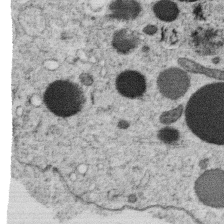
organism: C. elegans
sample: C. elegans oocyte; sperm cells